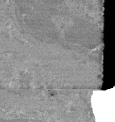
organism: Mouse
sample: Glomerulus